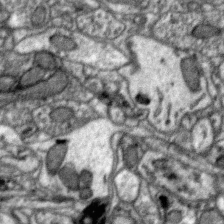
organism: Zebra finch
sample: Brain